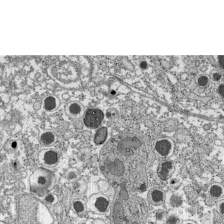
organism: C57BL Mouse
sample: Pancreatic islet